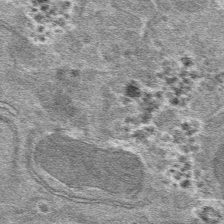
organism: Mouse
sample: Mouse hepatocytes